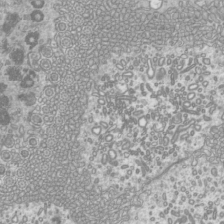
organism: Mouse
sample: Cilia; mouse epididymis